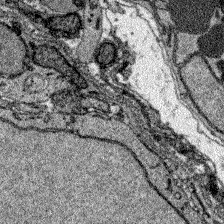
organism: Zebrafish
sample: Larval olfactory bulb